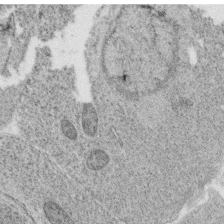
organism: C. elegans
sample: C. elegans oocyte; sperm cells